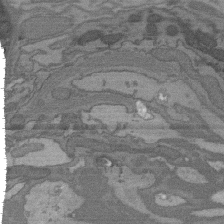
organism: C. elegans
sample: AFD neurons C. elegans